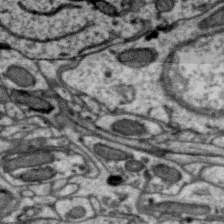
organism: Zebra finch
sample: Brain